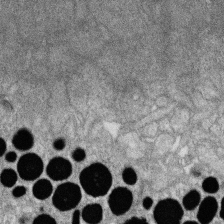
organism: Zebrafish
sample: Cilia; retinal pigment epithelium